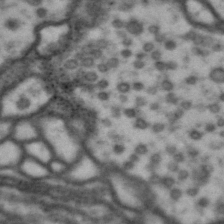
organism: Drosophila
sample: Brain